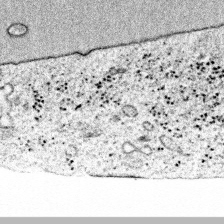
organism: Human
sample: HeLa cells